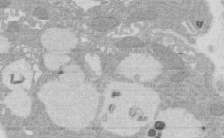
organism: Rat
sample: Salivary granule